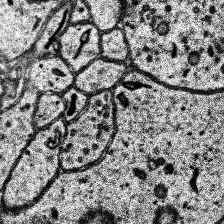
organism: Human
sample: Temporal Lobe